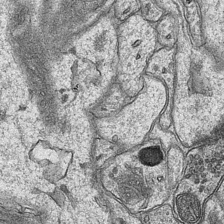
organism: Mouse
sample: CA1 Hippocampus